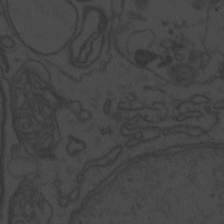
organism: Zebrafish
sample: Macrophage infected with Toxoplasma gondii